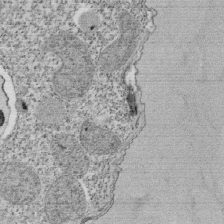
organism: Tetrahymena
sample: Cilia in tetrahymena